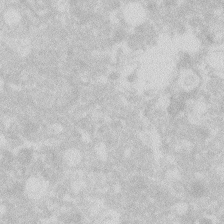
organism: Zebrafish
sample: Macrophage